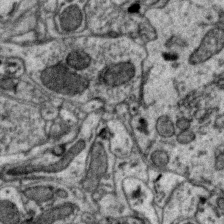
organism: Zebra finch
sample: Brain